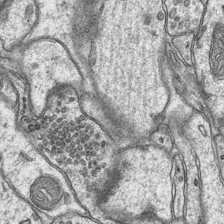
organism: Mouse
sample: CA1 Hippocampus